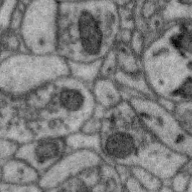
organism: Zebra finch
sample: Brain